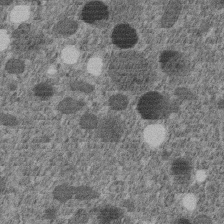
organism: C. elegans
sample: C. elegans embryo early stage